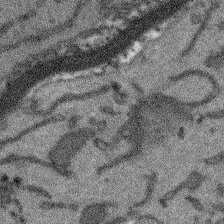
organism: Arabidopsis thaliana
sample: Root tip